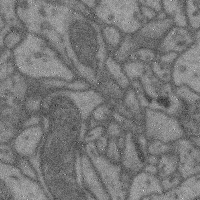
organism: Mouse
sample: Cerebral cortex